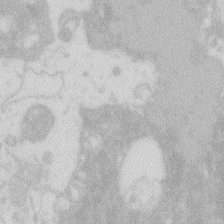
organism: Zebrafish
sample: Macrophage